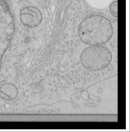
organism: Human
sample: Mitochondria in HCT116 cells